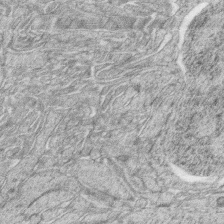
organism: Zebrafish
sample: synaptic ribbons in rod cells and cone cells